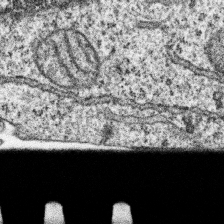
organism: Human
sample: HeLa cells